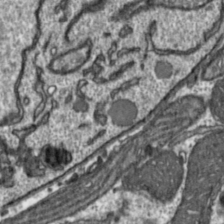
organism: Toxoplasma gondii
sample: Parasites in a vacuole inside a host cell